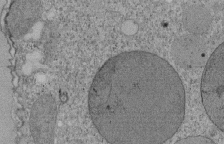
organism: Tetrahymena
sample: Cilia in tetrahymena